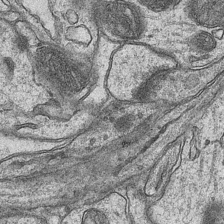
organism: Mouse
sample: CA1 Hippocampus